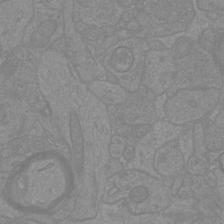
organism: Mouse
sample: Cortical neurons